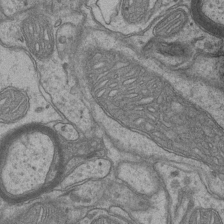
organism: Mouse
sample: CA1 Hippocampus